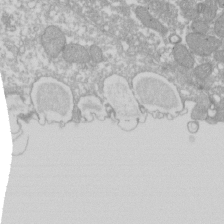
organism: Xenopus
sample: Cilia; centrioles in frog embryo cells